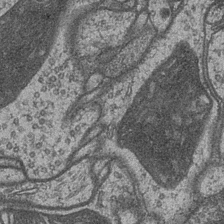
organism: Drosophila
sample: Optic medulla